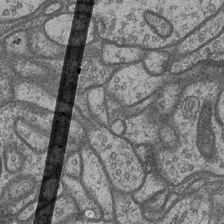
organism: Drosophila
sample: Optic medulla